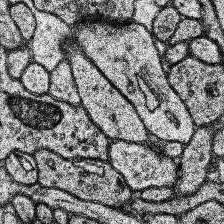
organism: Human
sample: Temporal Lobe